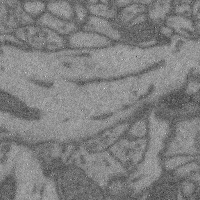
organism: Mouse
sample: Cerebral cortex